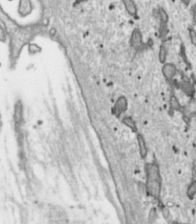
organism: Toxoplasma gondii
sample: Parasites in a vacuole inside a host cell